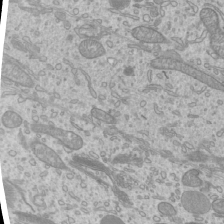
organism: Mouse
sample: Cilia; mouse epididymis